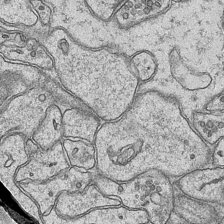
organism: Mouse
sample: CA1 Hippocampus